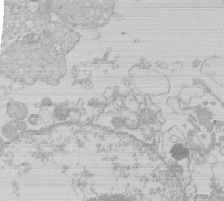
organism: Human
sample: Macrophage cells